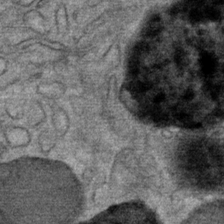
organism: Mouse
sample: Mouse Salivary gland